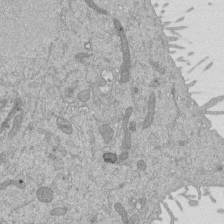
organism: Mouse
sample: ED-1 cell nuclei; centrioles